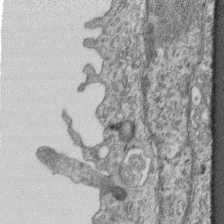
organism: Mouse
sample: Centriole in ependymal cells